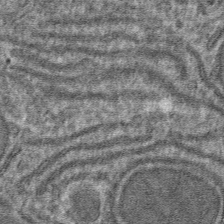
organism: Mouse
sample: Mouse hepatocytes